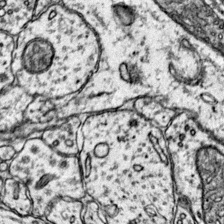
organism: Mouse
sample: Primary visual cortex